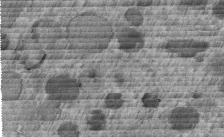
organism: C. elegans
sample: C. elegans embryo early stage